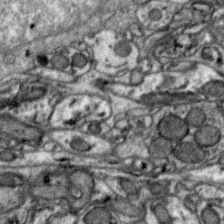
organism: Zebra finch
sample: Brain